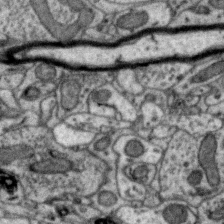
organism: Zebra finch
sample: Brain